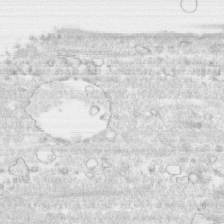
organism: Human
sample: CRL-1474